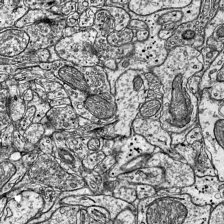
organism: Mouse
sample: Visual Cortex